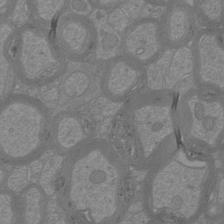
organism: Mouse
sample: Cortical neurons